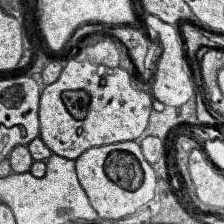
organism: Human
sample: Temporal Lobe